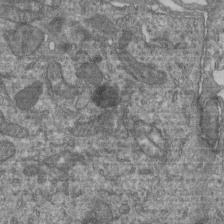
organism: Human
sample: Retinal organoid Rod and Cone cells